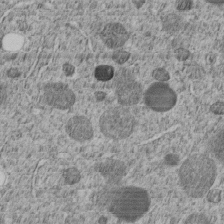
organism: C. elegans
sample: C. elegans embryo early stage